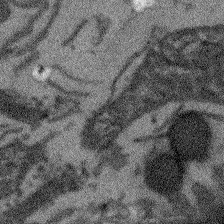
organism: Arabidopsis thaliana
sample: Root tip